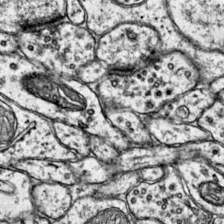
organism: Mouse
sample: Primary visual cortex